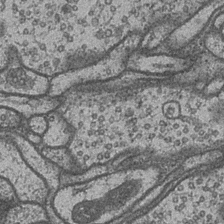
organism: Drosophila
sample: Optic medulla